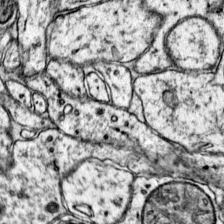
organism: Mouse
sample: Primary visual cortex